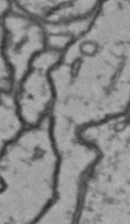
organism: Drosophila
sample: Brain